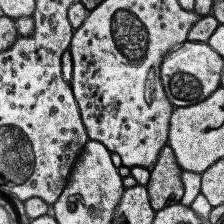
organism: Human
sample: Temporal Lobe